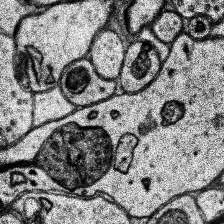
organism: Human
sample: Temporal Lobe